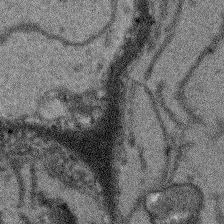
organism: Arabidopsis thaliana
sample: Root tip